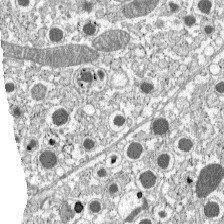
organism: C57BL Mouse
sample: Pancreatic islet